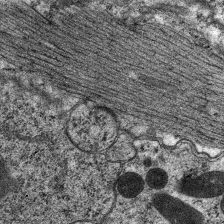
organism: C. elegans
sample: Pharynx